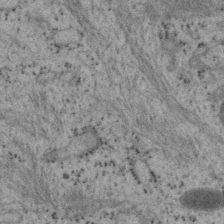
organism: Human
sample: HeLa cells